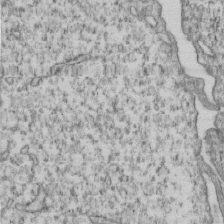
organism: Human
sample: MDA-MB-231 cells